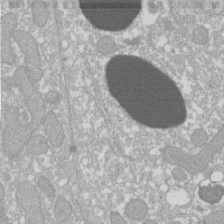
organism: Xenopus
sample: Cilia; centrioles in frog embryo cells